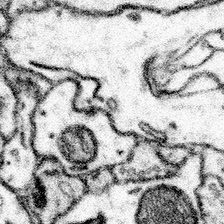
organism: Mouse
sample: Somatosensory cortex neuropil